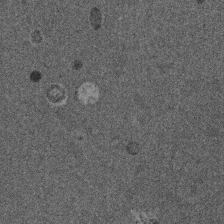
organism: Mouse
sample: Dividing mouse embryo 1 cell stage